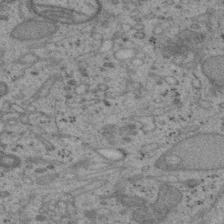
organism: Human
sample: HeLa cells